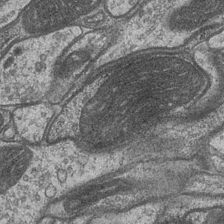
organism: Drosophila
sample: Optic medulla